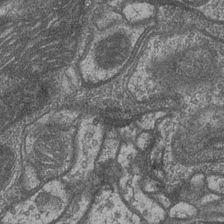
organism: Drosophila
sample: Optic medulla